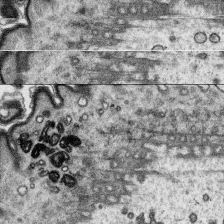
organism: Platynereis dumerilii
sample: Parapodia